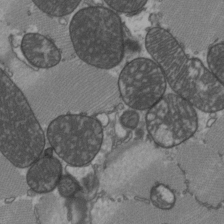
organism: C57BL Mouse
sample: Heart